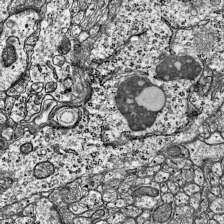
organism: Mouse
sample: Visual Cortex